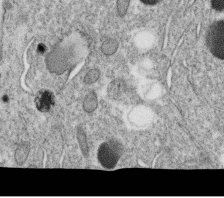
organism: C. elegans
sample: C. elegans oocyte; sperm cells